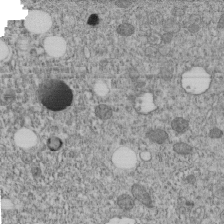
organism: C. elegans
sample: C. elegans embryo early stage